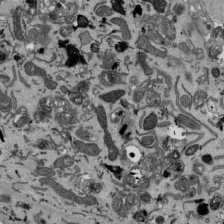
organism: Mouse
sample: ED-1 cell nuclei; centrioles